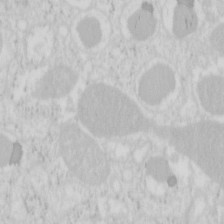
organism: Mouse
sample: Pancreas